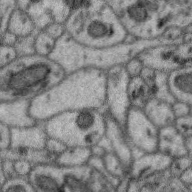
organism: Zebra finch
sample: Brain